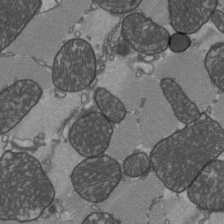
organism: C57BL Mouse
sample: Heart